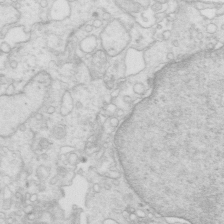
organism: Mouse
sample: Multiciliated cells